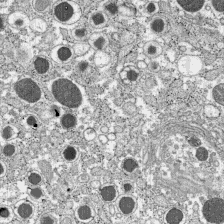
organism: C57BL Mouse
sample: Pancreatic islet